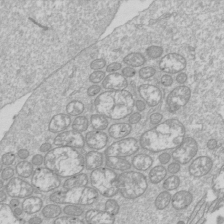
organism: Drosophila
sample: Cell division; meiosis; drosophila spermatocytes